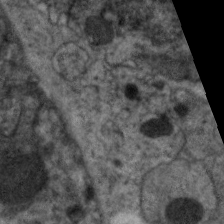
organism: C. elegans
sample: Pharynx